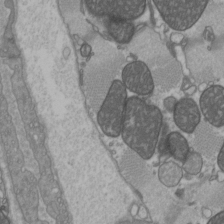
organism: C57BL Mouse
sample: Heart